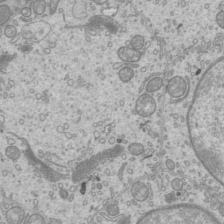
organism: Mouse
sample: Cilia; mouse epididymis